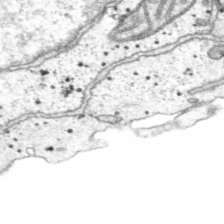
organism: Human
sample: HeLa cells